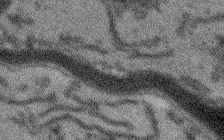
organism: Arabidopsis thaliana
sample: Root tip